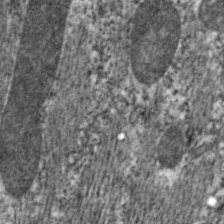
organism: C. elegans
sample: Pharynx